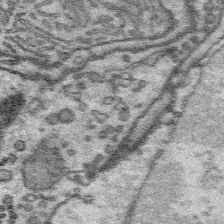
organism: Platynereis dumerilii